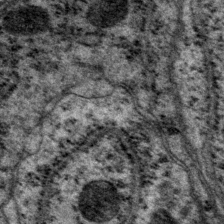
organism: P. pacificus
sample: Pharynx